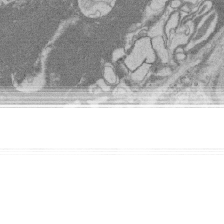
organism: Rat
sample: Salivary granule